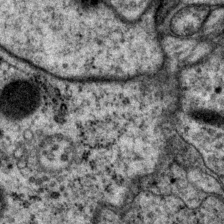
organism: P. pacificus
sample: Pharynx